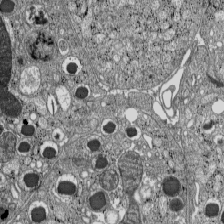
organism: C57BL Mouse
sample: Pancreatic islet